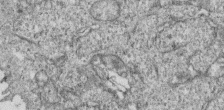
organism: Human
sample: HeLa cell HIV synapse